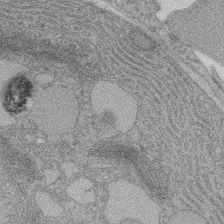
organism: Rat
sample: Salivary granule